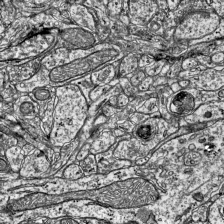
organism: Mouse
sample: Visual Cortex